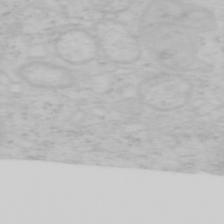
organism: Mouse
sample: OT-I killer T cells with ID8 ovarian cancer cells